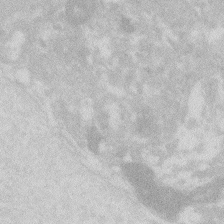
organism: Zebrafish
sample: Macrophage